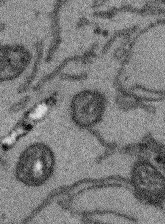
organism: Arabidopsis thaliana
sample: Root tip